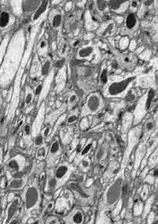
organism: Drosophila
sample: Optic lobe